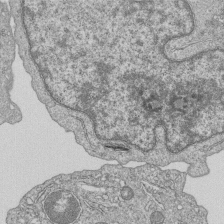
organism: Human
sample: MDA-MB-231 cells